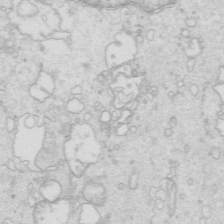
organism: Mouse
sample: Multiciliated cells